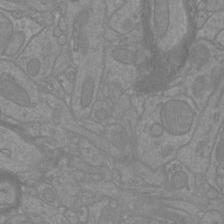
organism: Mouse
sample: Cortical neurons